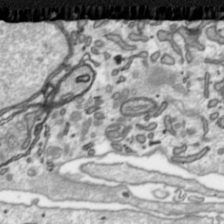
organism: Toxoplasma gondii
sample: Parasites in a vacuole inside a host cell